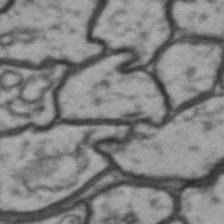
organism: Drosophila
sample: Brain